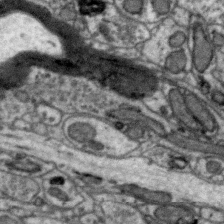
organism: Zebra finch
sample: Brain